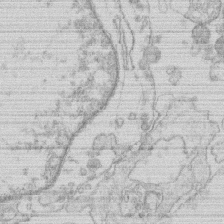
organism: Human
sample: Macrophage cells